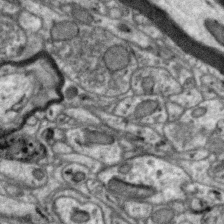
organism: Zebra finch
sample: Brain